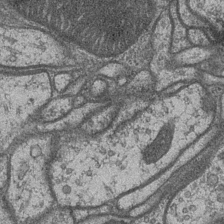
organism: Drosophila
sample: Optic medulla